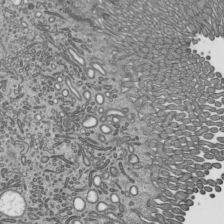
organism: Mouse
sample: Mouse epididymis efferent ductule cilia